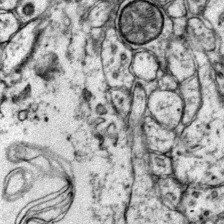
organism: Mouse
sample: Primary visual cortex